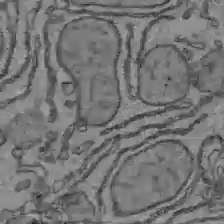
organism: C57BL Mouse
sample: Liver